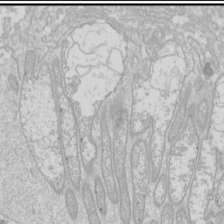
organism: Drosophila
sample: Cell division; meiosis; drosophila spermatocytes